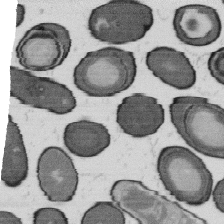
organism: B. subtilis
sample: Bacterial spore